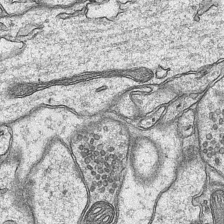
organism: Mouse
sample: CA1 Hippocampus